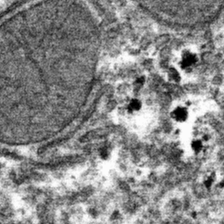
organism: Mouse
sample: Mouse hepatocytes